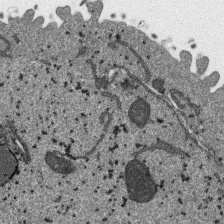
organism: Human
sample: Lung epithelial cells infected with SARS-CoV-2